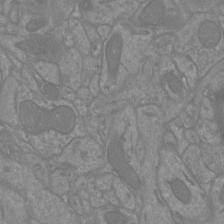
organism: Mouse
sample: Cortical neurons